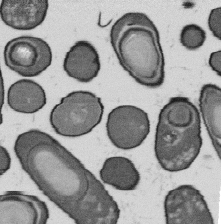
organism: B. subtilis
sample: Bacterial spore